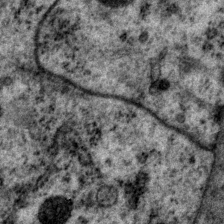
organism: P. pacificus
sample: Pharynx